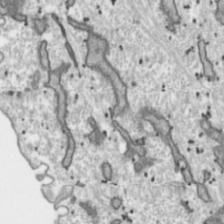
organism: Toxoplasma gondii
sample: Parasites in a vacuole inside a host cell